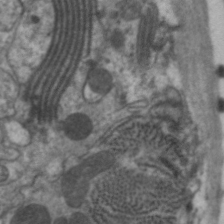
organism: C. elegans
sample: Pharynx